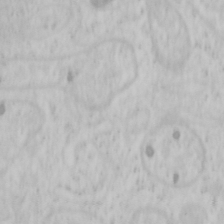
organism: Mouse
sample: OT-I killer T cells with ID8 ovarian cancer cells